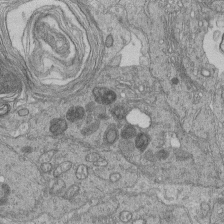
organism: Human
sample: Retinal organoid Rod and Cone cells